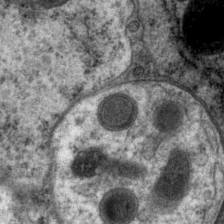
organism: P. pacificus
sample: Pharynx